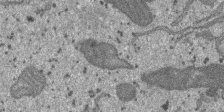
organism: Human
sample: Lung epithelial cells infected with SARS-CoV-2